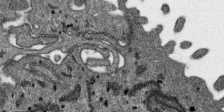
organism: Human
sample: Lung epithelial cells, uninfected (mock) control